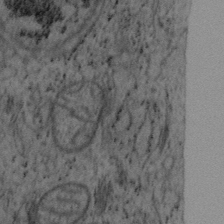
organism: Human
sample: HeLa cells